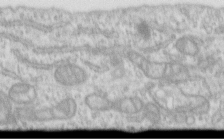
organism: Human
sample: Centriole in RPE cells